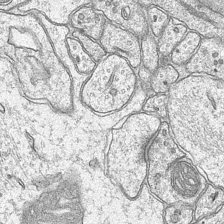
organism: Mouse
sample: CA1 Hippocampus